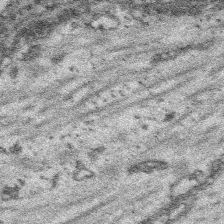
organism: Platynereis dumerilii